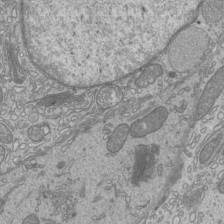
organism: Mouse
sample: Cilia; mouse epididymis